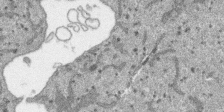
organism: Human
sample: Lung epithelial cells infected with SARS-CoV-2